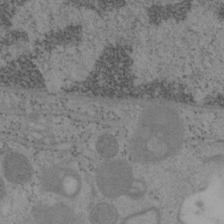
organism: Mouse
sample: OT-I killer T cells with ID8 ovarian cancer cells